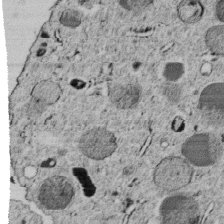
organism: C. elegans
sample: C. elegans embryo early stage